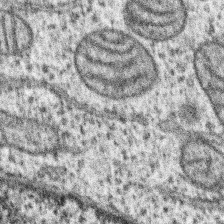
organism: Human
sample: HeLa cells